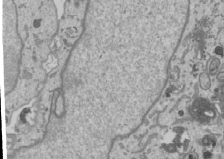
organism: Human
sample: Mitochondria in U2OS cells